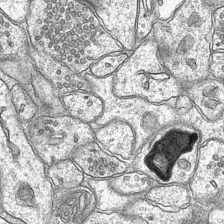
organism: Mouse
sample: CA1 Hippocampus